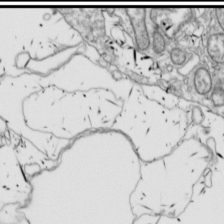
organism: Drosophila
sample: Cell division; meiosis; drosophila spermatocytes